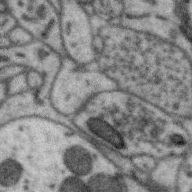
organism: Zebra finch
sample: Brain